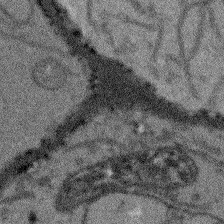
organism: Arabidopsis thaliana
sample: Root tip